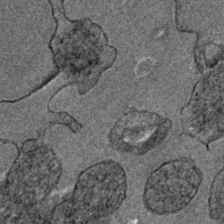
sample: Trachea